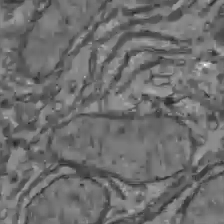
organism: C57BL Mouse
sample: Liver